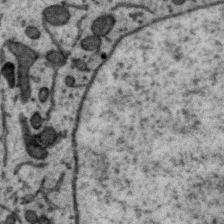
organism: Zebra finch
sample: Brain